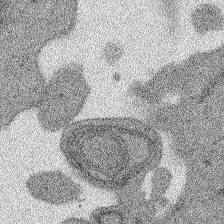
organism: Human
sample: HeLa cells